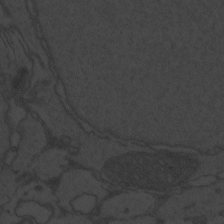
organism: Zebrafish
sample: Macrophage infected with Toxoplasma gondii